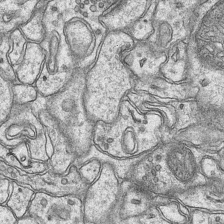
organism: Mouse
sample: CA1 Hippocampus